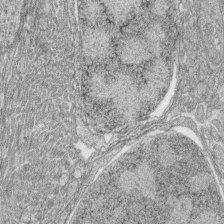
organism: Zebrafish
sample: synaptic ribbons in rod cells and cone cells